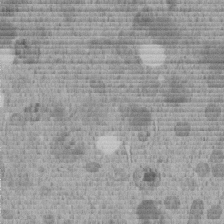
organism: C. elegans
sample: C. elegans embryo early stage